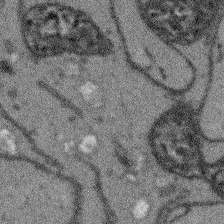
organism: Arabidopsis thaliana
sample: Root tip